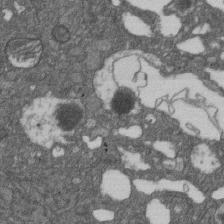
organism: Drosophila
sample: Nephrocyte